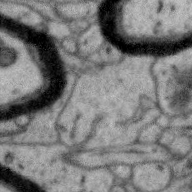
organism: Zebra finch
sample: Brain